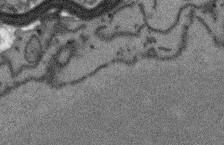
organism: Arabidopsis thaliana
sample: Root tip